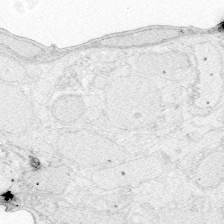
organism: Zebrafish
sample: Whole-Brain